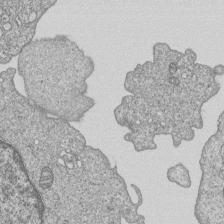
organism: Human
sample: MDA-MB-231 cells